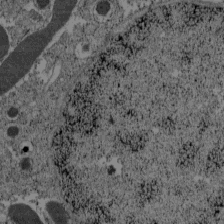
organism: C57BL Mouse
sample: Pancreatic islet